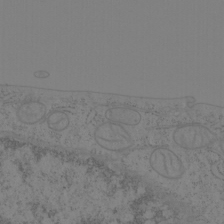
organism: Human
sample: HeLa cells